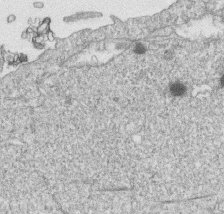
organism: Human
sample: HeLa cell HIV synapse